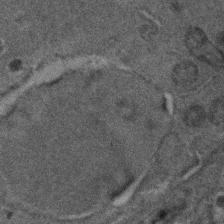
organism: C. elegans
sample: C. elegans embryo